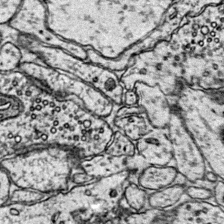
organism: Mouse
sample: Primary visual cortex